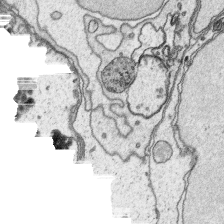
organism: Platynereis dumerilii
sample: Parapodia